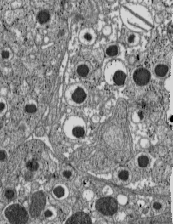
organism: C57BL Mouse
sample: Pancreatic islet